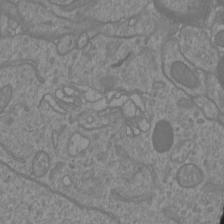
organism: Mouse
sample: Cortical neurons